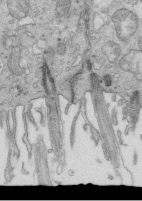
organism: Mouse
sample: Multiciliated cells